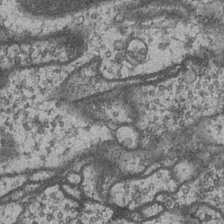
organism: Drosophila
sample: Optic medulla